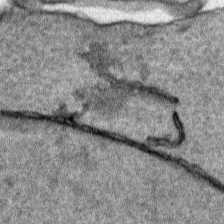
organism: Human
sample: Mitochondria in HCT116 cells